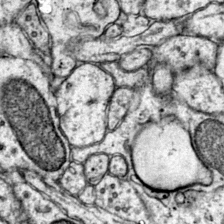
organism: Mouse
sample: Primary visual cortex